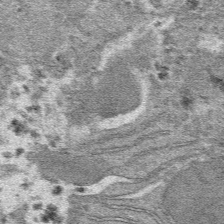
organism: Mouse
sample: Mouse hepatocytes